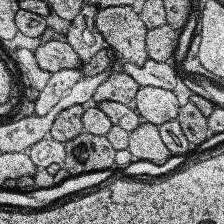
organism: Human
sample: Temporal Lobe